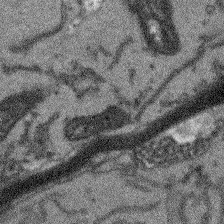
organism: Arabidopsis thaliana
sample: Root tip